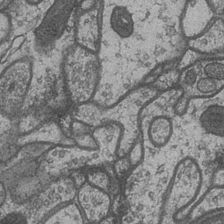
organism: Drosophila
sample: Optic medulla